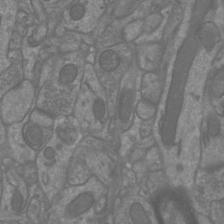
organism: Mouse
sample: Cortical neurons